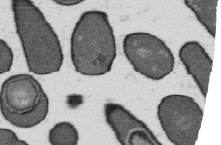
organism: B. subtilis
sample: Bacterial spore